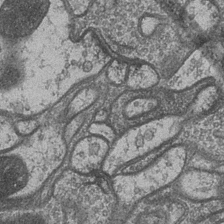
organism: Drosophila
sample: Optic medulla